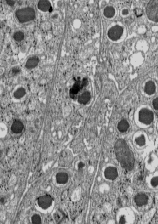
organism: C57BL Mouse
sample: Pancreatic islet